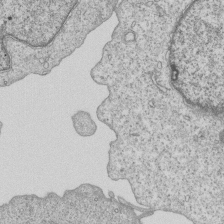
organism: Human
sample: MDA-MB-231 cells